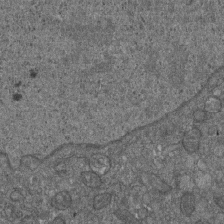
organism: Drosophila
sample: Nephrocyte